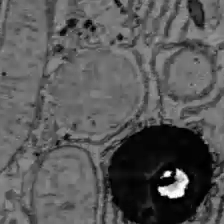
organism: C57BL Mouse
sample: Liver